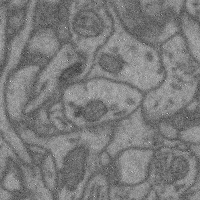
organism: Mouse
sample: Cerebral cortex